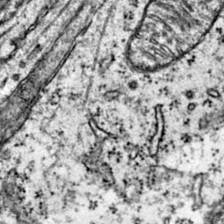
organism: Mouse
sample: Primary visual cortex